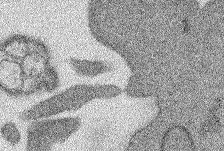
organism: Human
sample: HeLa cells